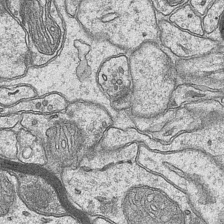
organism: Mouse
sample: CA1 Hippocampus